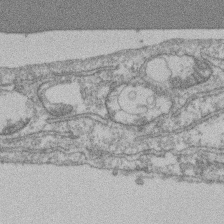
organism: Mouse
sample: T cell stromal cell synapse